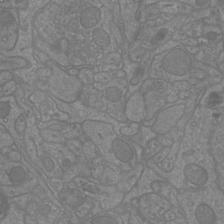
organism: Mouse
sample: Cortical neurons